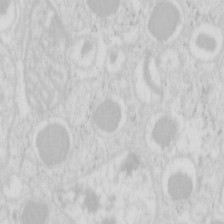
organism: Mouse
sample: Pancreas